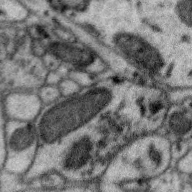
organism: Zebra finch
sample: Brain